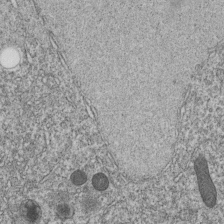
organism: C. elegans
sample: C. elegans embryo early stage